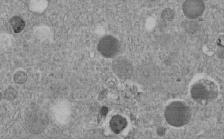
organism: C. elegans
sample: C. elegans embryo early stage